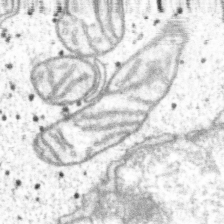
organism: Human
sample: HeLa cells